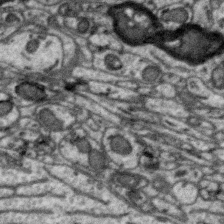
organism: Zebra finch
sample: Brain